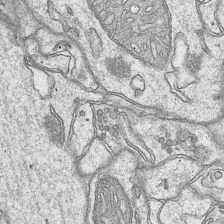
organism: Mouse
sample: CA1 Hippocampus